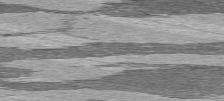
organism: C57BL Mouse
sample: Heart